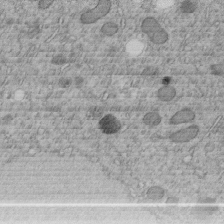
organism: C. elegans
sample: C. elegans embryo early stage